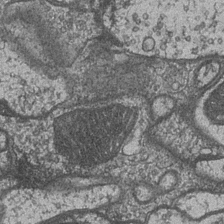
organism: Drosophila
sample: Optic medulla